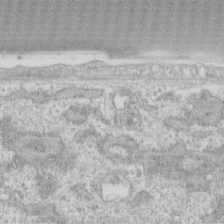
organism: Human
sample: CRL-1474